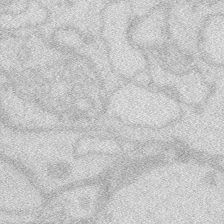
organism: Zebrafish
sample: Macrophage